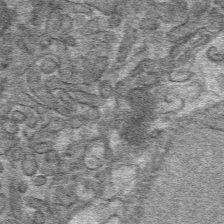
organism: Mouse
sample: Mouse hepatocytes